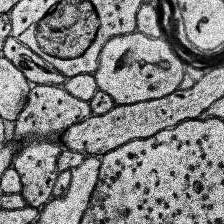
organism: Human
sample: Temporal Lobe